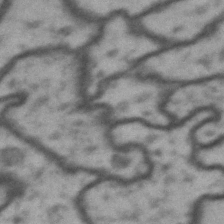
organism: Drosophila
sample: Brain